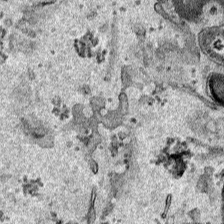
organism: Human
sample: Mitochondria in HCT116 cells